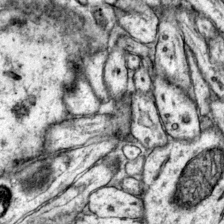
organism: Mouse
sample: Primary visual cortex